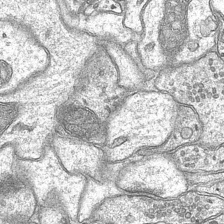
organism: Mouse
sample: CA1 Hippocampus